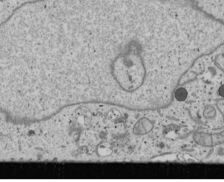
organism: Human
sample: Mitochondria in U2OS cells